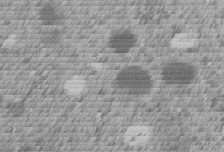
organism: C. elegans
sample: C. elegans embryo early stage